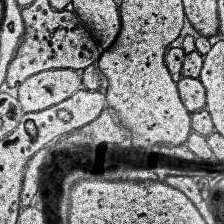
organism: Human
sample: Temporal Lobe